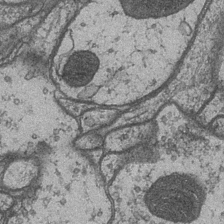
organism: Drosophila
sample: Optic medulla